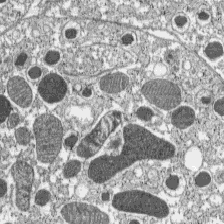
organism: C57BL Mouse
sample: Pancreatic islet